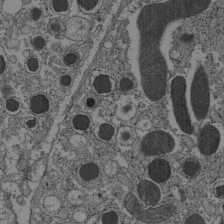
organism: C57BL Mouse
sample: Pancreatic islet